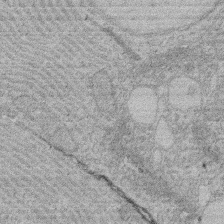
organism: Rat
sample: Salivary granule